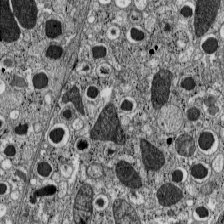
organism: C57BL Mouse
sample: Pancreatic islet